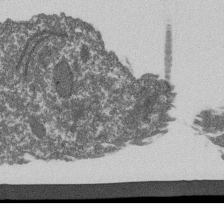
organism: Dictyostelium discoideum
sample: Dictyostelium multivesicular bodies